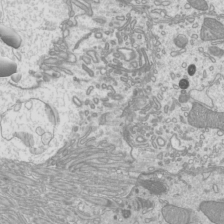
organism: Mouse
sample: Cilia; mouse epididymis